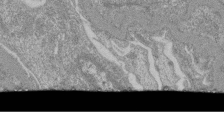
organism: Mouse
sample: Glomerulus